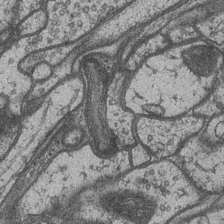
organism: Drosophila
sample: Optic medulla